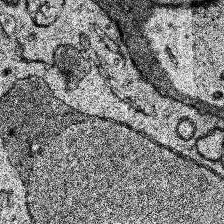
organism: Human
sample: Temporal Lobe